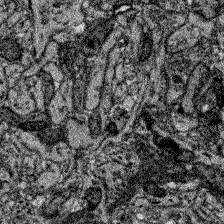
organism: Zebrafish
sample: Larval olfactory bulb